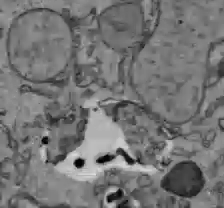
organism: C57BL Mouse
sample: Liver